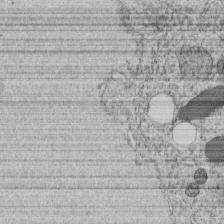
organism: C. elegans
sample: C. elegans embryo early stage